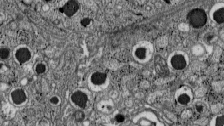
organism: C57BL Mouse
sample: Pancreatic islet